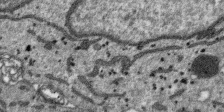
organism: Human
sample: Lung epithelial cells, uninfected (mock) control